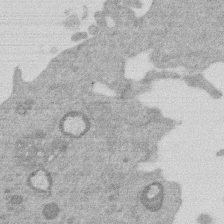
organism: Mouse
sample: Dividing mouse embryo 1 cell stage